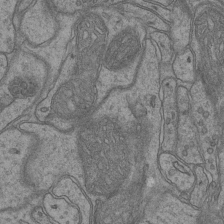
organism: Mouse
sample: CA1 Hippocampus